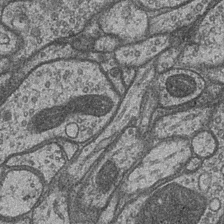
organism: Drosophila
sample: Optic medulla